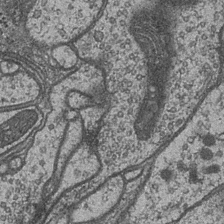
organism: Drosophila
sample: Optic medulla